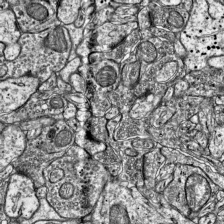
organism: Mouse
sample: Visual Cortex